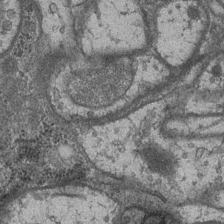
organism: Drosophila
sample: Optic medulla